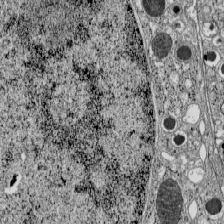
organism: C57BL Mouse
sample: Pancreatic islet